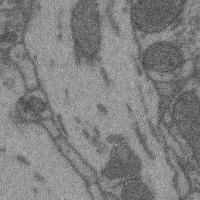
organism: Mouse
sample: Cerebral cortex